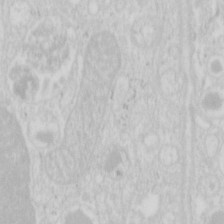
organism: Mouse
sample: Pancreas